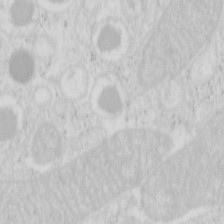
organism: Mouse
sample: Pancreas